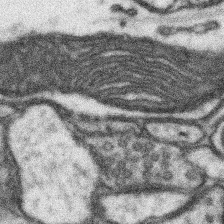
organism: Mouse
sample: Somatosensory cortex neuropil